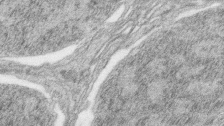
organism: Zebrafish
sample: synaptic ribbons in rod cells and cone cells